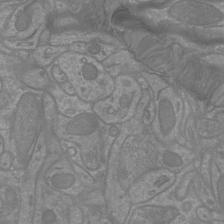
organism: Mouse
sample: Cortical neurons